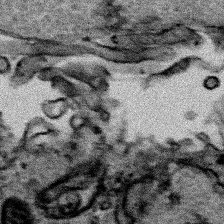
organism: Human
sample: Mitochondria in HCT116 cells